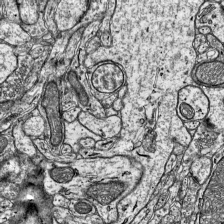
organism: Mouse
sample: Visual Cortex